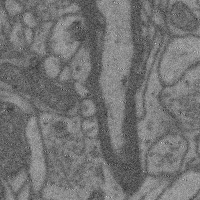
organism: Mouse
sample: Cerebral cortex